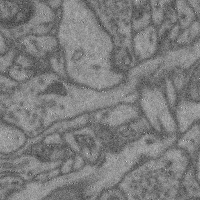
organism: Mouse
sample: Cerebral cortex